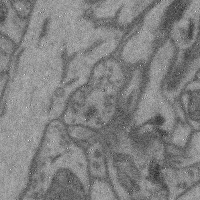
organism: Mouse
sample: Cerebral cortex